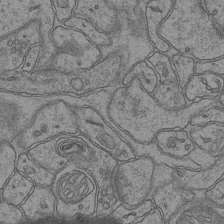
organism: Mouse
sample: CA1 Hippocampus